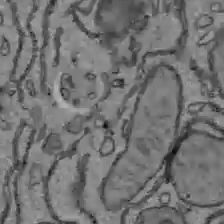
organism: C57BL Mouse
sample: Liver